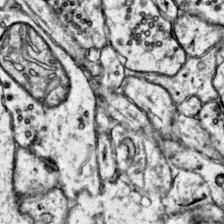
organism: Mouse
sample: Primary visual cortex